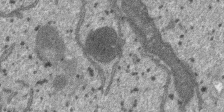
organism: Human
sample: Lung epithelial cells infected with SARS-CoV-2